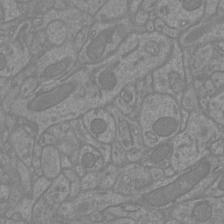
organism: Mouse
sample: Cortical neurons